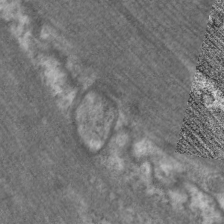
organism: C. elegans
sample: Pharynx